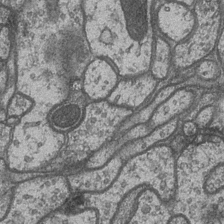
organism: Drosophila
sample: Optic medulla